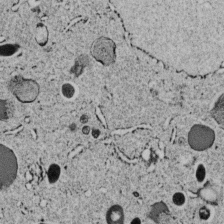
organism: C. elegans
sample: C. elegans embryo early stage